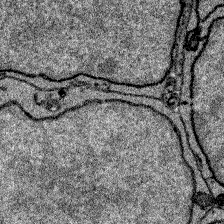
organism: Zebrafish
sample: Larval olfactory bulb